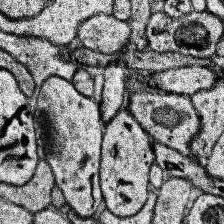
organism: Human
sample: Temporal Lobe